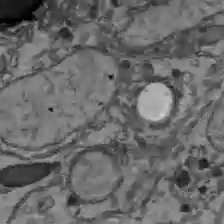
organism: C57BL Mouse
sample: Liver